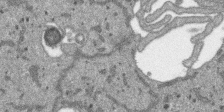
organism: Human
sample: Lung epithelial cells infected with SARS-CoV-2